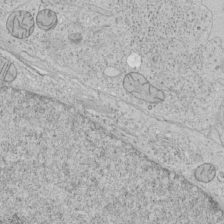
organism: Human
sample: Mitochondria in HCT116 cells